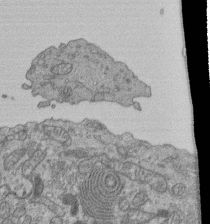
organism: Human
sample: Retinal organoid Rod and Cone cells